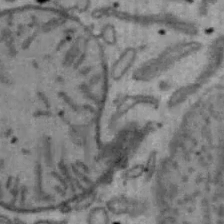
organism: Mouse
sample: Liver